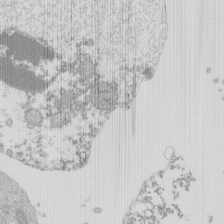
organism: Mouse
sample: Activated Pmel transgenic CD8+ T Cells